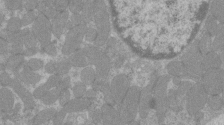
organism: C57BL Mouse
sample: Tibialis anterior muscle cell